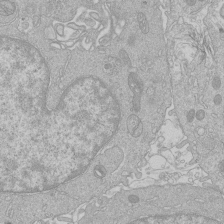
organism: Human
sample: Macrophage cells